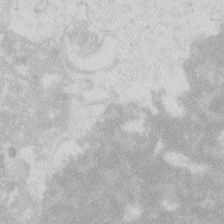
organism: Zebrafish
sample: Macrophage